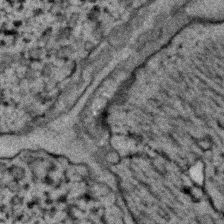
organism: C. elegans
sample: C. elegans embryo